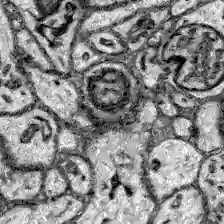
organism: Zebrafish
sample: Brain